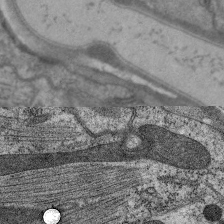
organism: C. elegans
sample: Pharynx